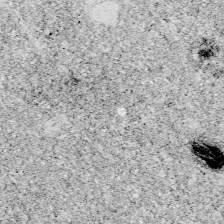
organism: Zebrafish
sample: Whole-Brain